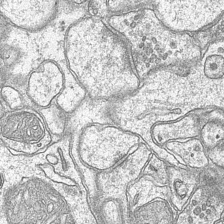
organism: Mouse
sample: CA1 Hippocampus